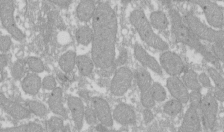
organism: Xenopus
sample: Cilia; centrioles in frog embryo cells